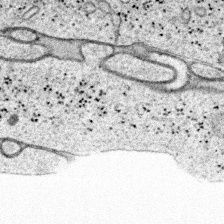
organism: Human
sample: HeLa cells